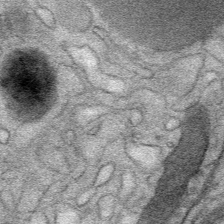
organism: Mouse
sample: Mouse Salivary gland